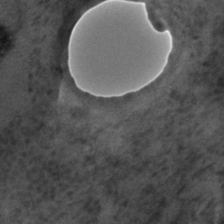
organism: C. elegans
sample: C. elegans embryo